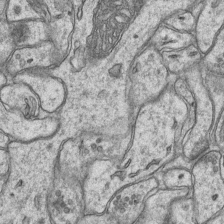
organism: Mouse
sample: CA1 Hippocampus